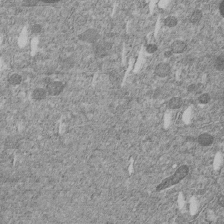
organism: C. elegans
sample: C. elegans embryo early stage